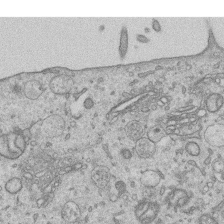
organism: Human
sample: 1205lu cells